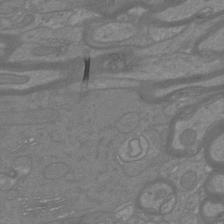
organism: Mouse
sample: Cortical neurons